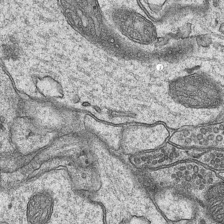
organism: Mouse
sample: CA1 Hippocampus